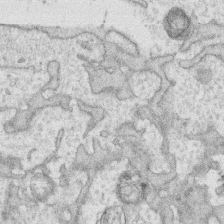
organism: Human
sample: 1205lu cells